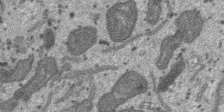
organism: Human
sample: Lung epithelial cells infected with SARS-CoV-2